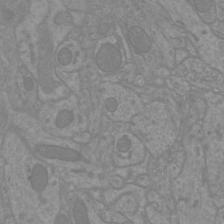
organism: Mouse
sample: Cortical neurons